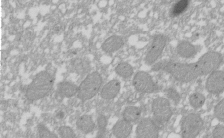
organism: Xenopus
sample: Cilia; centrioles in frog embryo cells